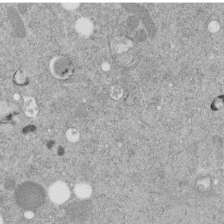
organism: C. elegans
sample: C. elegans embryo early stage